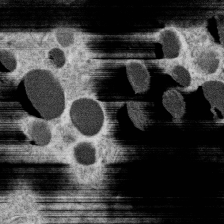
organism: C. elegans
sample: C. elegans oocyte; sperm cells